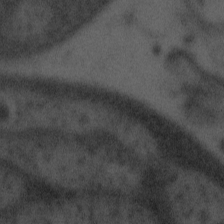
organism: Tuwongella immobilis